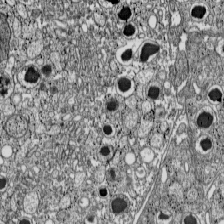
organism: C57BL Mouse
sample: Pancreatic islet